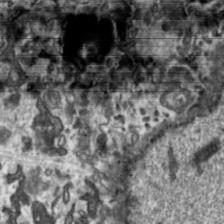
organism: Toxoplasma gondii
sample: Parasites in a vacuole inside a host cell